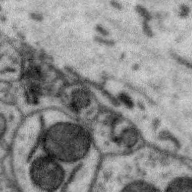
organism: Zebra finch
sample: Brain